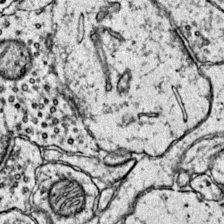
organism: Mouse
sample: Primary visual cortex